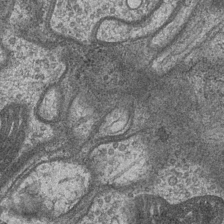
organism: Drosophila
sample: Optic medulla